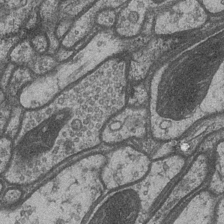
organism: Drosophila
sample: Optic medulla